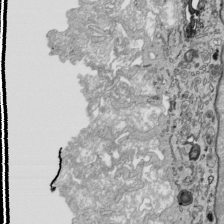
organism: Human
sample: Mitochondria in HCT116 cells